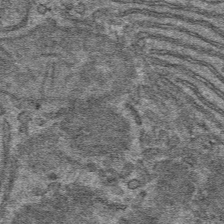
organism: Mouse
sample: Mouse hepatocytes